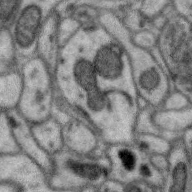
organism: Zebra finch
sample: Brain